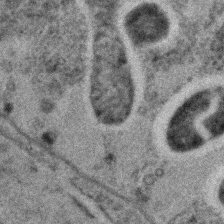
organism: C. elegans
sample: C. elegans embryo